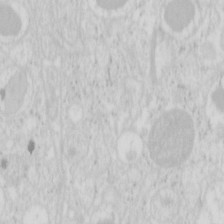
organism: Mouse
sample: Pancreas